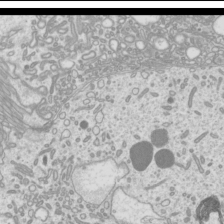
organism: Mouse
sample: Cilia; mouse epididymis